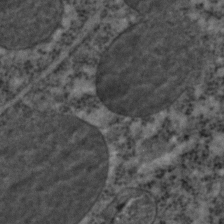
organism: C. elegans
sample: C. elegans embryo